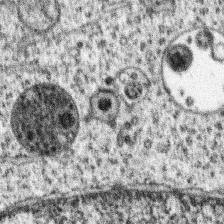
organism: Human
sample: HeLa cells